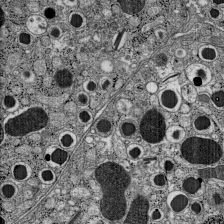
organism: C57BL Mouse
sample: Pancreatic islet